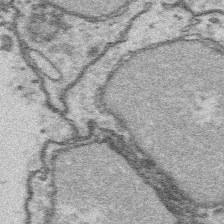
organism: Platynereis dumerilii